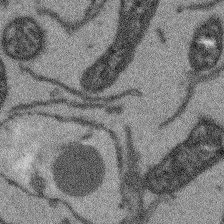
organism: Arabidopsis thaliana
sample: Root tip